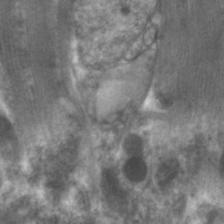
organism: C. elegans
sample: Pharynx